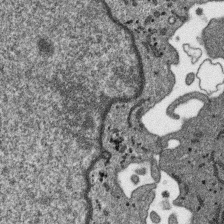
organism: Human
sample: Lung epithelial cells infected with SARS-CoV-2